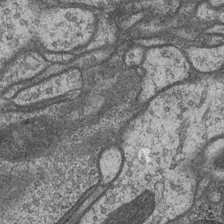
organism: Drosophila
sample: Optic medulla